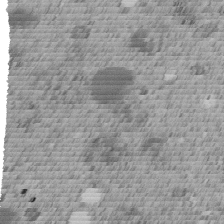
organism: C. elegans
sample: C. elegans embryo early stage